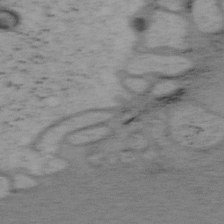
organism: Mouse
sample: OT-I killer T cells with ID8 ovarian cancer cells